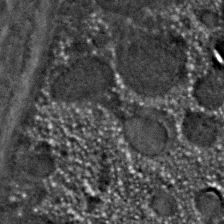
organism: C. elegans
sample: C. elegans embryo